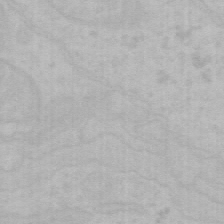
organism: Mouse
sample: Choroid plexus